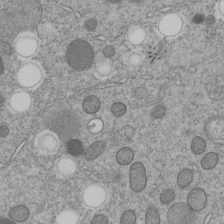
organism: C. elegans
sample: C. elegans embryo early stage